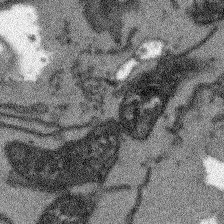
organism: Arabidopsis thaliana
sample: Root tip